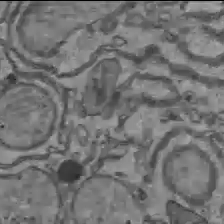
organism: C57BL Mouse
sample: Liver